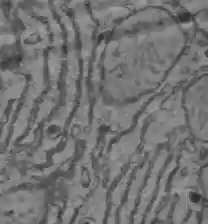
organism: C57BL Mouse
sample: Liver